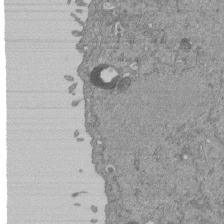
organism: Mouse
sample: ED-1 cell nuclei; centrioles